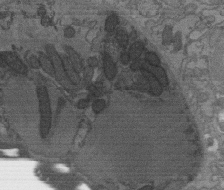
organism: C. elegans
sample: AFD neurons C. elegans